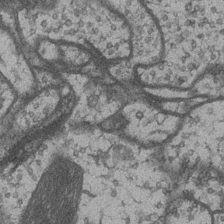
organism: Drosophila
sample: Optic medulla